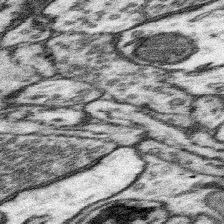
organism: Mouse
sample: Somatosensory cortex neuropil